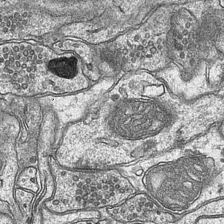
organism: Mouse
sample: CA1 Hippocampus